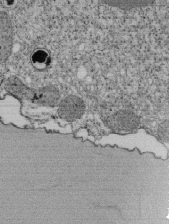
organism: Tetrahymena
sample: Cilia in tetrahymena